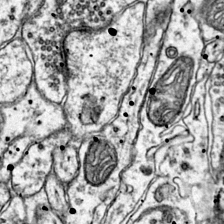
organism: Mouse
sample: Primary visual cortex